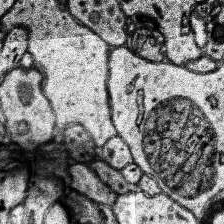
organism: Human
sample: Temporal Lobe